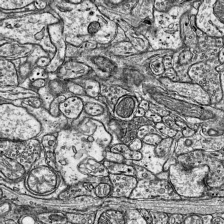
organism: Mouse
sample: Visual Cortex